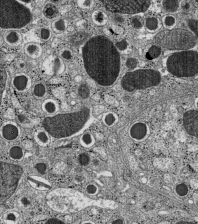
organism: C57BL Mouse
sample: Pancreatic islet